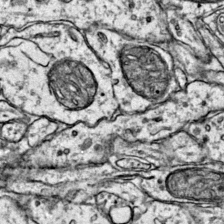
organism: Mouse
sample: Primary visual cortex